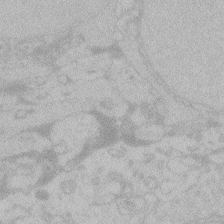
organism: Zebrafish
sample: Macrophage infected with Toxoplasma gondii